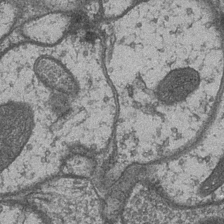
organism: Drosophila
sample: Optic medulla